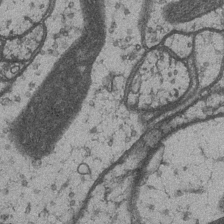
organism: Drosophila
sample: Optic medulla